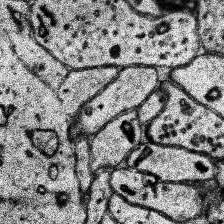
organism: Human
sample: Temporal Lobe